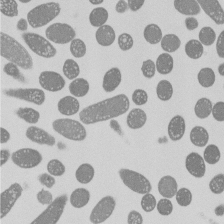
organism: E. coli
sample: Bacterial nucleoid